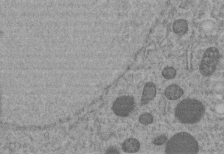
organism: C. elegans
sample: C. elegans embryo early stage